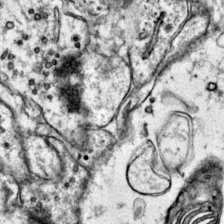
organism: Mouse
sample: Primary visual cortex